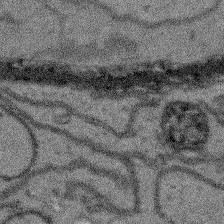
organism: Arabidopsis thaliana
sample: Root tip